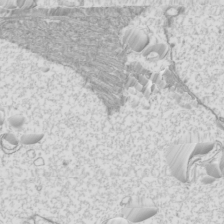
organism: Mouse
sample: Cilia; mouse epididymis